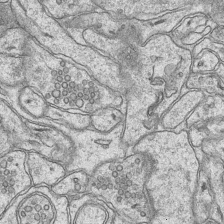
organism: Mouse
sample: CA1 Hippocampus